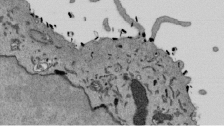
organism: Mouse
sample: ED-1 cell nuclei; centrioles